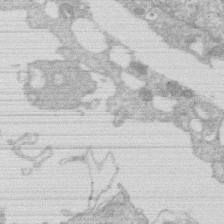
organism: Human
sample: Macrophage cells